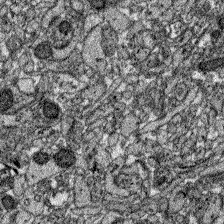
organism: Zebrafish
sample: Larval olfactory bulb